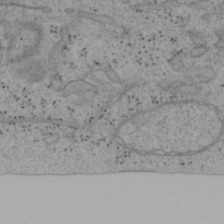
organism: Human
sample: HeLa cells